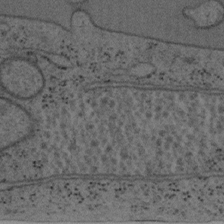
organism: Human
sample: HeLa cells